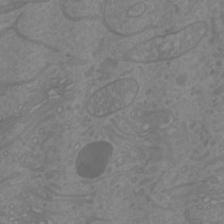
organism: Mouse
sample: Cortical neurons